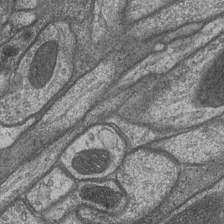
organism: Drosophila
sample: Optic medulla